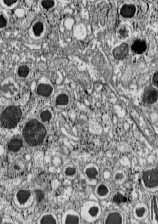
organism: C57BL Mouse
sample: Pancreatic islet